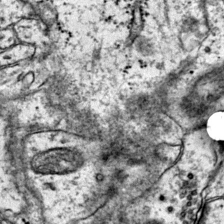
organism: Mouse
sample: Primary visual cortex